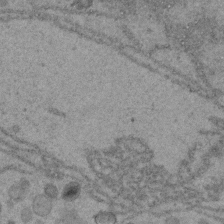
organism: C. elegans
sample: C. elegans embryo early stage